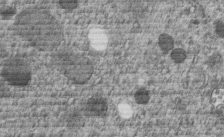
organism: C. elegans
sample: C. elegans embryo early stage